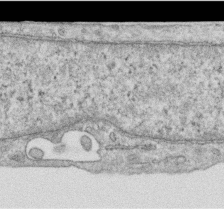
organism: Human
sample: Centriole in RPE cells